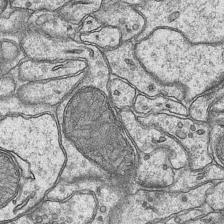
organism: Mouse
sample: CA1 Hippocampus